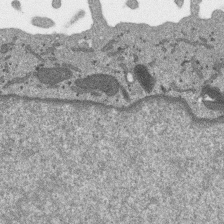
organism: Human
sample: Lung epithelial cells infected with SARS-CoV-2